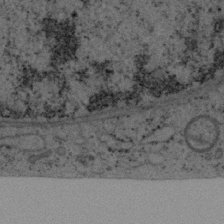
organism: Human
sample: HeLa cells